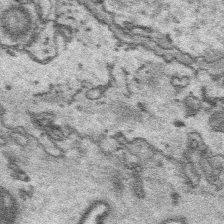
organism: Platynereis dumerilii